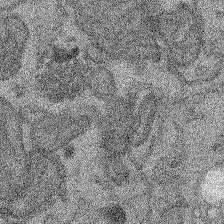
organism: Human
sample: HeLa cells